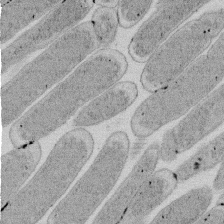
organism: E. coli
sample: Bacterial nucleoid